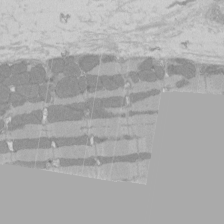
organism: Rat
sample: Left ventricle